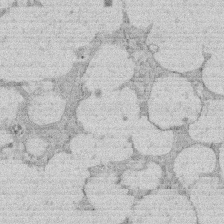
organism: Rat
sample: Salivary granule